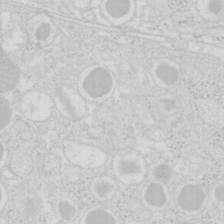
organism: Mouse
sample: Pancreas